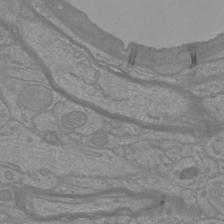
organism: Mouse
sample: Cortical neurons